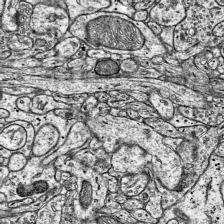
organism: Mouse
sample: Visual Cortex